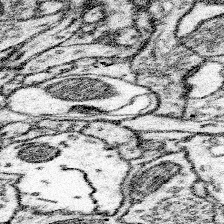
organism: Mouse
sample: Somatosensory cortex neuropil